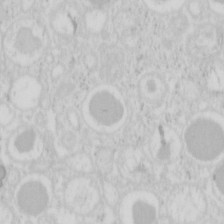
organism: Mouse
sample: Pancreas